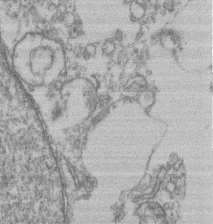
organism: Mouse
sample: T cell stromal cell synapse